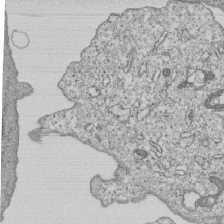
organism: Human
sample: MDA-MB-231 cells